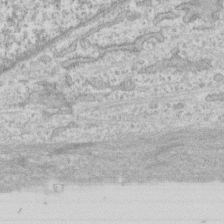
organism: Human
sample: CRL-1474